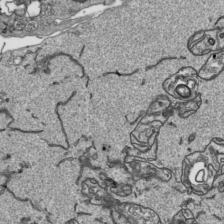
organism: Human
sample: Mitochondria in HCT116 cells